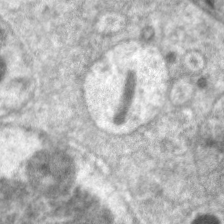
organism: C. elegans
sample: Pharynx